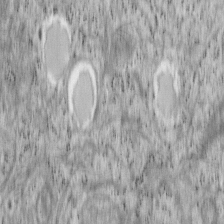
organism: Human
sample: HeLa cells